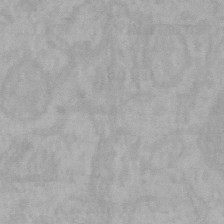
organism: Mouse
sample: Choroid plexus